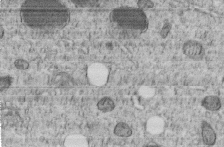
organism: C. elegans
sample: C. elegans embryo early stage